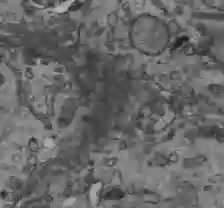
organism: C57BL Mouse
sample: Liver